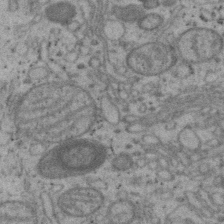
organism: Human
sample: HeLa cells